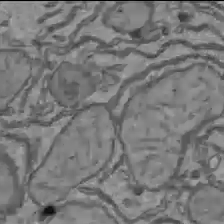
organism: C57BL Mouse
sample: Liver